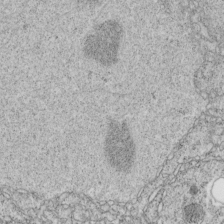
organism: C. elegans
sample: C. elegans embryo early stage